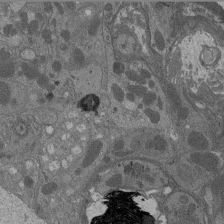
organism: Drosophila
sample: Antenna